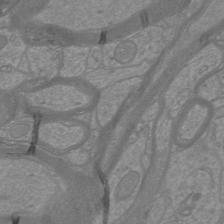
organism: Mouse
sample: Cortical neurons